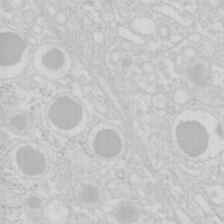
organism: Mouse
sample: Pancreas